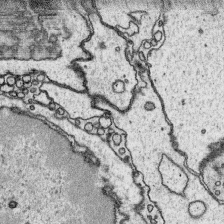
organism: Platynereis dumerilii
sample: Parapodia